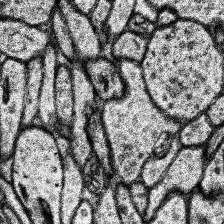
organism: Human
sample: Temporal Lobe